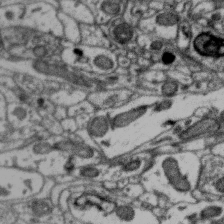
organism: Zebra finch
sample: Brain